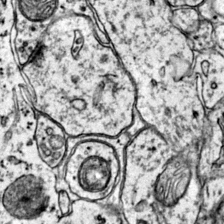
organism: Mouse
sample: Primary visual cortex